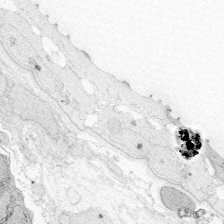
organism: Zebrafish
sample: Whole-Brain